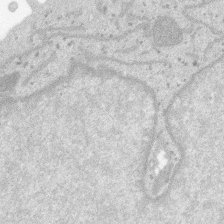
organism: Human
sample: Lung epithelial cells infected with SARS-CoV-2